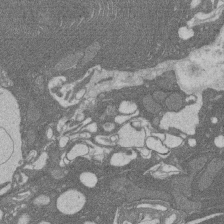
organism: Rat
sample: Salivary granule